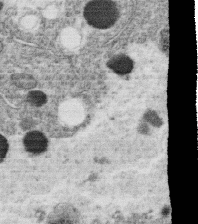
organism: C. elegans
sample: C. elegans oocyte; sperm cells